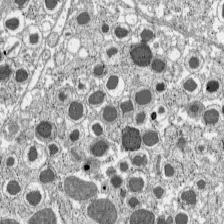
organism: C57BL Mouse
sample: Pancreatic islet